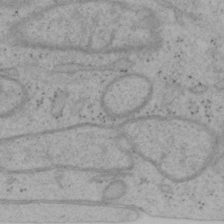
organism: Human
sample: HeLa cells